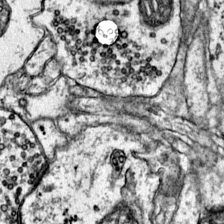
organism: Mouse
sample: Primary visual cortex